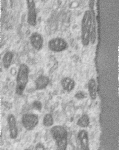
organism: Human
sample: Centriole in RPE cells